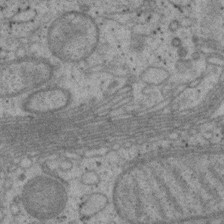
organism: Human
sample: HeLa cells